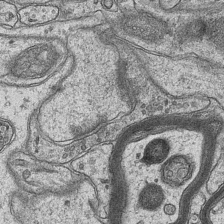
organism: Mouse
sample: CA1 Hippocampus